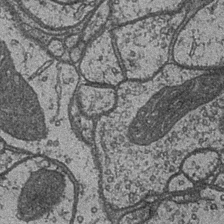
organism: Drosophila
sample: Optic medulla